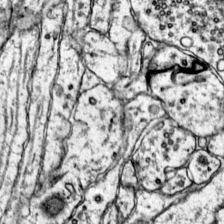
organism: Mouse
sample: Primary visual cortex